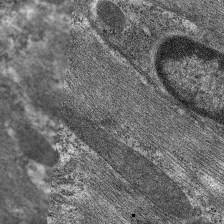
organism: C. elegans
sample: Pharynx